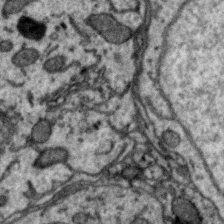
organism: Zebra finch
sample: Brain